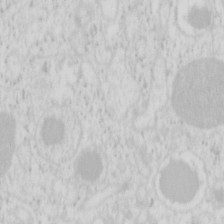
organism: Mouse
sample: Pancreas